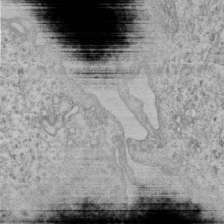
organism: Human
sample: MDA-MB-231 cells